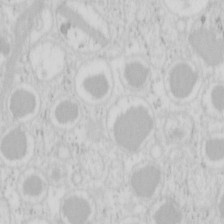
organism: Mouse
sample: Pancreas